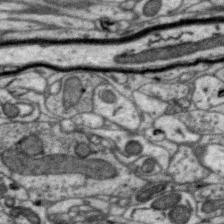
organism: Zebra finch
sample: Brain